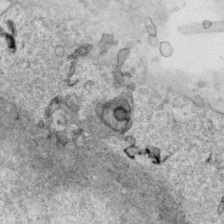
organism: Human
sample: Mitochondria in HCT116 cells